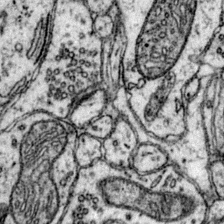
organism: Mouse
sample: Primary visual cortex